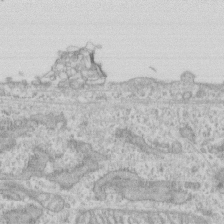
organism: Human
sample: CRL-1474